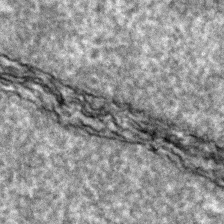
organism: Zebrafish